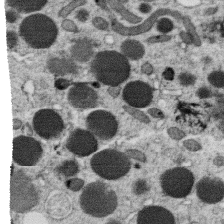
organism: C. elegans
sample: C. elegans oocyte; sperm cells